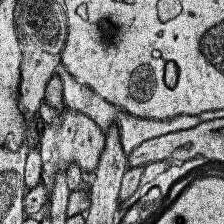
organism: Human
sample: Temporal Lobe